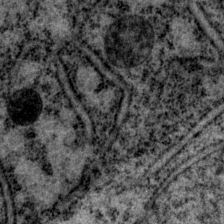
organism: P. pacificus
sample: Pharynx